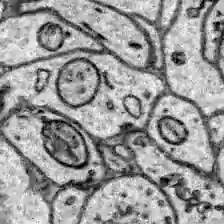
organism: Zebrafish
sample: Brain